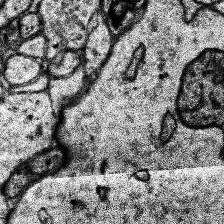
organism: Human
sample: Temporal Lobe